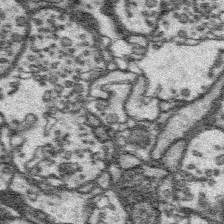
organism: Platynereis dumerilii